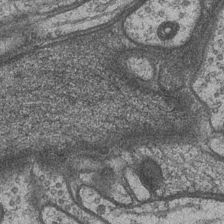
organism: Drosophila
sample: Optic medulla